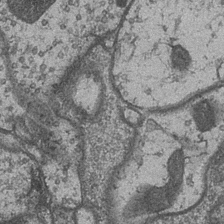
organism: Drosophila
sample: Optic medulla